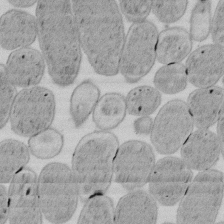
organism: E. coli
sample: Bacterial nucleoid